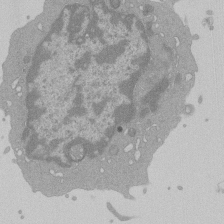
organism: Mouse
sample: Activated Pmel transgenic CD8+ T Cells